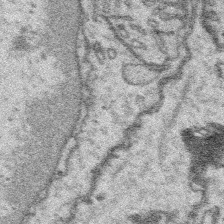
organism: Platynereis dumerilii